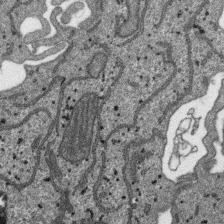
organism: Human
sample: Lung epithelial cells infected with SARS-CoV-2